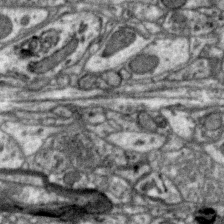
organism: Zebra finch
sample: Brain